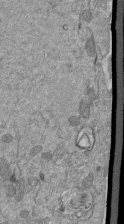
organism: Mouse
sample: ED-1 cell nuclei; centrioles